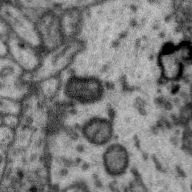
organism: Zebra finch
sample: Brain